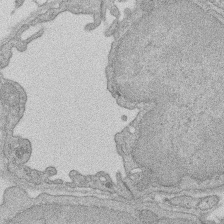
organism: Rat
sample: Salivary granule